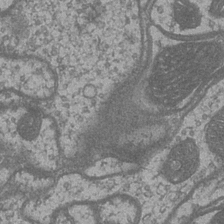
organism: Drosophila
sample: Optic medulla